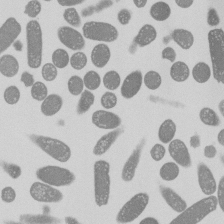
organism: E. coli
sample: Bacterial nucleoid